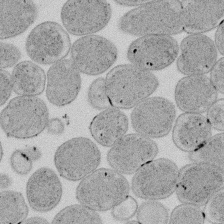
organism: E. coli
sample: Bacterial nucleoid